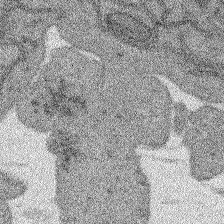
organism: Human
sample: HeLa cells